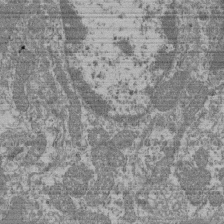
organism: Mouse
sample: Glomerulus